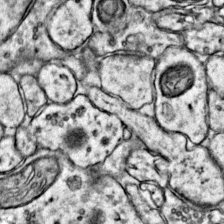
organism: Mouse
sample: Primary visual cortex